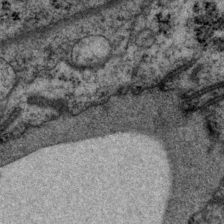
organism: P. pacificus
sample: Pharynx